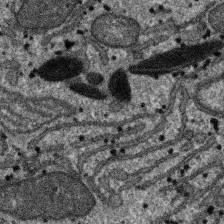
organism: Human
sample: Lung epithelial cells infected with SARS-CoV-2